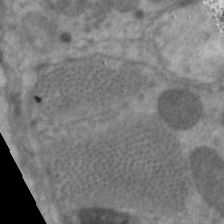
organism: C. elegans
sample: Pharynx